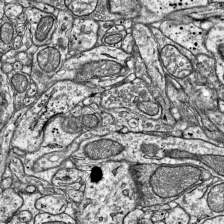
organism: Mouse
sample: Visual Cortex